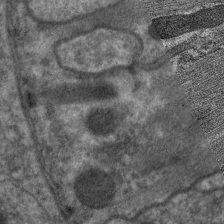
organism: C. elegans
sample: Pharynx